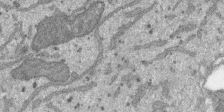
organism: Human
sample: Lung epithelial cells infected with SARS-CoV-2